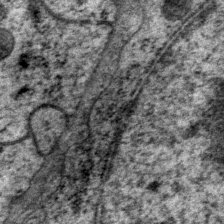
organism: P. pacificus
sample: Pharynx